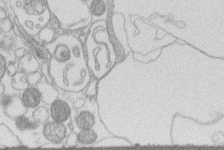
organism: Human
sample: Macrophage cells